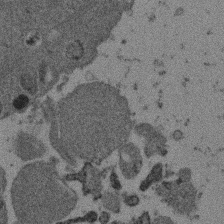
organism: Mouse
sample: Dividing mouse embryo 1 cell stage